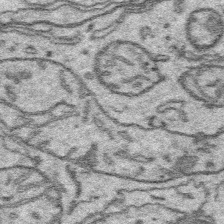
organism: Platynereis dumerilii